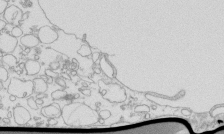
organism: Mouse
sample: Macrophages